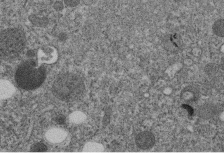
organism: C. elegans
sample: C. elegans embryo early stage